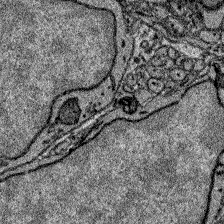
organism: Zebrafish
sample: Larval olfactory bulb